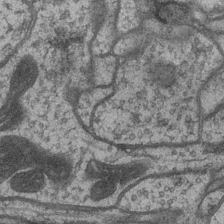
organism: Drosophila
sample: Optic medulla